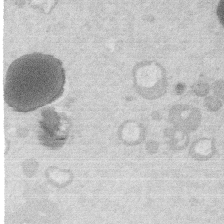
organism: Mouse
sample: Dividing mouse embryo 1 cell stage